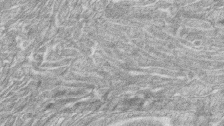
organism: Zebrafish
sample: synaptic ribbons in rod cells and cone cells